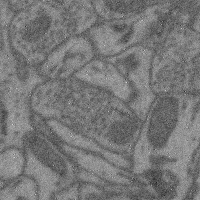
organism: Mouse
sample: Cerebral cortex